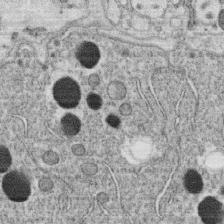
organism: C. elegans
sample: C. elegans oocyte; sperm cells